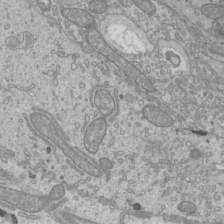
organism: Mouse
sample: Cilia; mouse epididymis